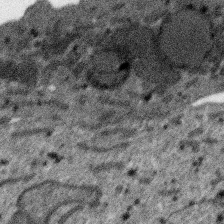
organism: Human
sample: Lung epithelial cells infected with SARS-CoV-2